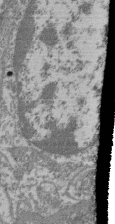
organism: Mouse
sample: Glomerulus